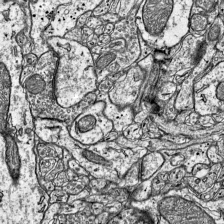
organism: Mouse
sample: Visual Cortex